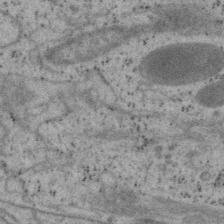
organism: Human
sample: HeLa cells